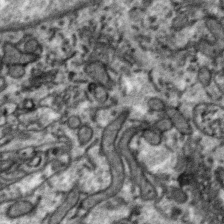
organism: Zebra finch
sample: Brain